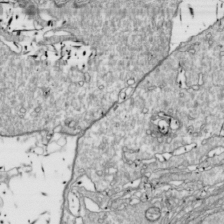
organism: Drosophila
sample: Cell division; meiosis; drosophila spermatocytes